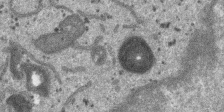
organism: Human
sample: Lung epithelial cells infected with SARS-CoV-2